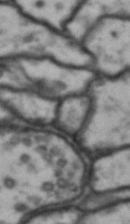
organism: Drosophila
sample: Brain